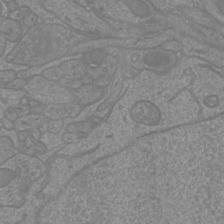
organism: Mouse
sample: Cortical neurons